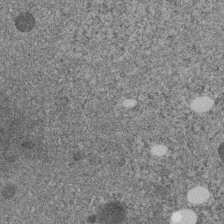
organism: C. elegans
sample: C. elegans embryo early stage